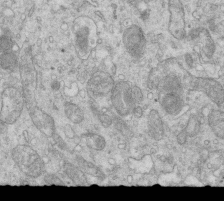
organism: Mouse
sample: Multiciliated cells